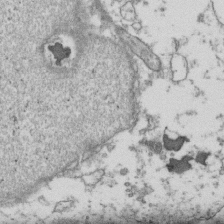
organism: Human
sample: Activated Jurkat CD4+ T cells